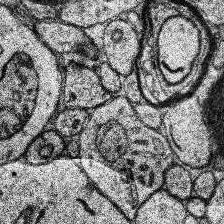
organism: Human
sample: Temporal Lobe